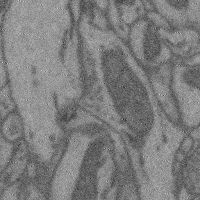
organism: Mouse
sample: Cerebral cortex